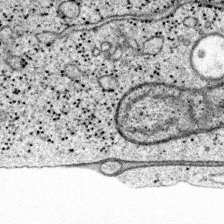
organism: Human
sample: HeLa cells